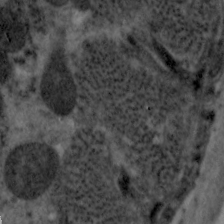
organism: C. elegans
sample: Pharynx